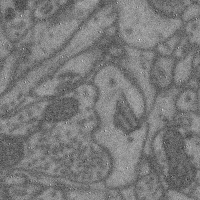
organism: Mouse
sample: Cerebral cortex